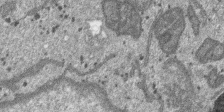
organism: Human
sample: Lung epithelial cells infected with SARS-CoV-2